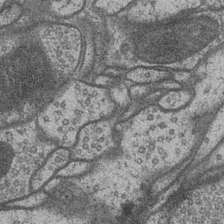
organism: Drosophila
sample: Optic medulla